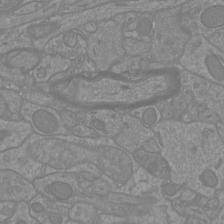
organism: Mouse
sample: Cortical neurons